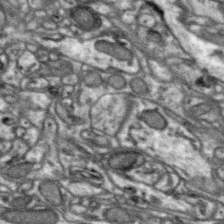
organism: Zebra finch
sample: Brain